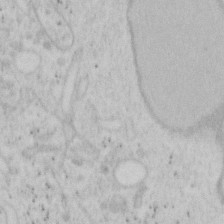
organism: Human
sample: HeLa cells